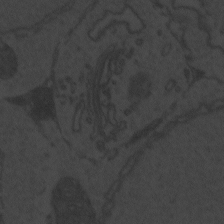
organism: Zebrafish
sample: Macrophage infected with Toxoplasma gondii